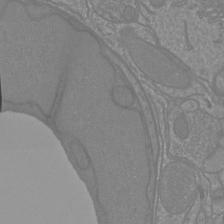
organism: Mouse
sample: Cortical neurons